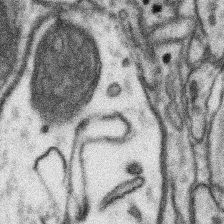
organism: Mouse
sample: Somatosensory cortex neuropil